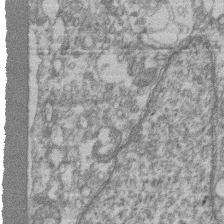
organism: Mouse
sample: T cell stromal cell synapse